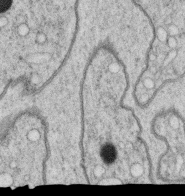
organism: C. elegans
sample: C. elegans oocyte; sperm cells